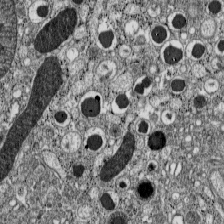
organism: C57BL Mouse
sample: Pancreatic islet